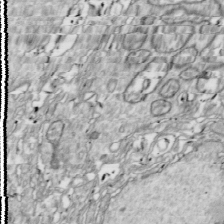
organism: Drosophila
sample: Cell division; meiosis; drosophila spermatocytes